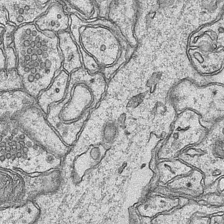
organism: Mouse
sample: CA1 Hippocampus